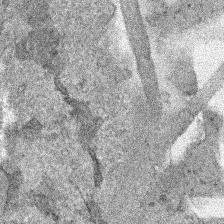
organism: Human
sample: Mitochondria in HCT116 cells